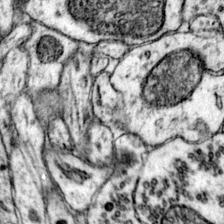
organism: Mouse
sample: Primary visual cortex